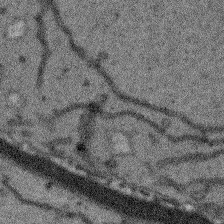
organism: Arabidopsis thaliana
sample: Root tip